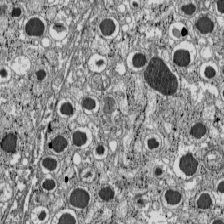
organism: C57BL Mouse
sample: Pancreatic islet